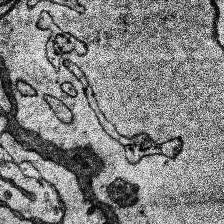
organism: Human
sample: Temporal Lobe